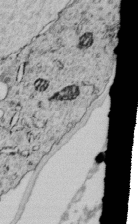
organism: C. elegans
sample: C. elegans embryo early stage